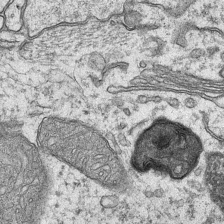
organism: Mouse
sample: CA1 Hippocampus